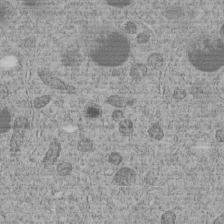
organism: C. elegans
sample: C. elegans embryo early stage